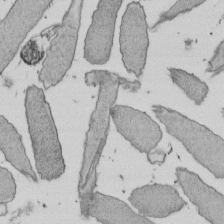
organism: E. coli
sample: Bacterial nucleoid